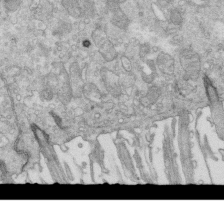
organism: Mouse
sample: Multiciliated cells